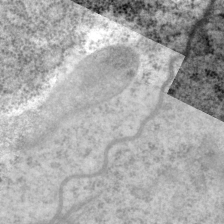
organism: P. pacificus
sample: Pharynx